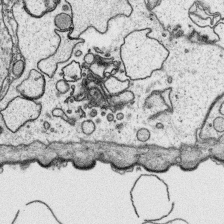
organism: Platynereis dumerilii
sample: Parapodia